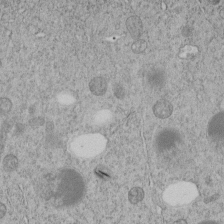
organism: C. elegans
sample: C. elegans embryo early stage